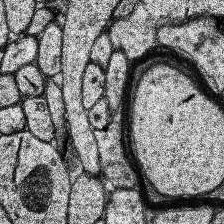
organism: Human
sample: Temporal Lobe